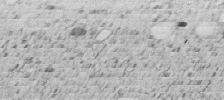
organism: C. elegans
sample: C. elegans embryo early stage